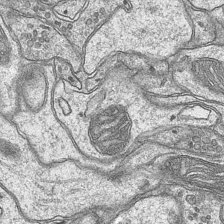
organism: Mouse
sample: CA1 Hippocampus